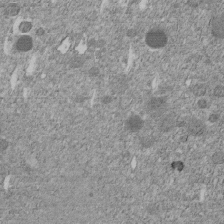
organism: C. elegans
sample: C. elegans embryo early stage